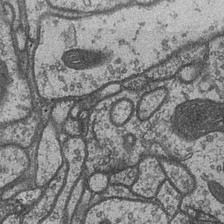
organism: Drosophila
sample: Optic medulla